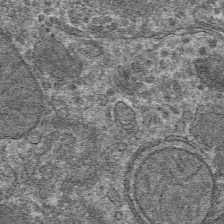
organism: Mouse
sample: Mouse hepatocytes